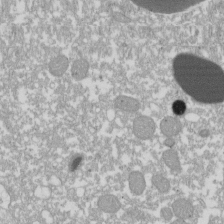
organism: Xenopus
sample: Cilia; centrioles in frog embryo cells